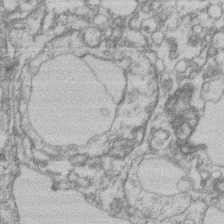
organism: Mouse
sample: T cell stromal cell synapse